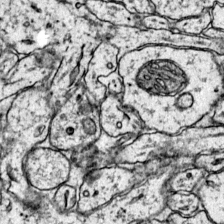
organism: Mouse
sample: Primary visual cortex